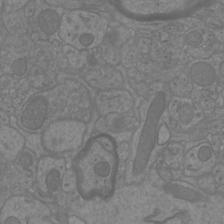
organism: Mouse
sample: Cortical neurons